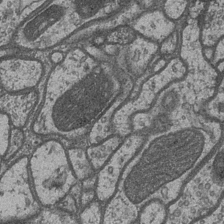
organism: Drosophila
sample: Optic medulla